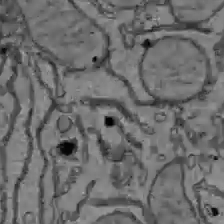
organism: C57BL Mouse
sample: Liver